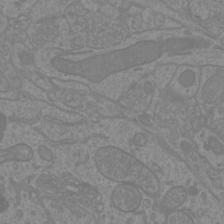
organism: Mouse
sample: Cortical neurons